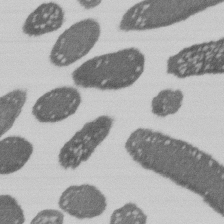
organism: E. coli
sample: Bacterial nucleoid